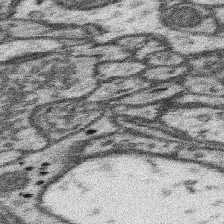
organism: Mouse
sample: Somatosensory cortex neuropil